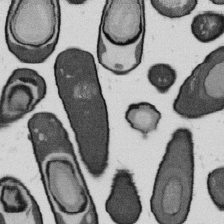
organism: B. subtilis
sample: Bacterial spore